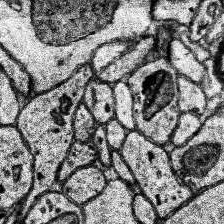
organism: Human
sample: Temporal Lobe